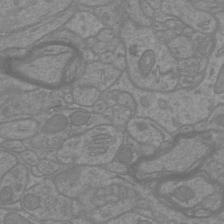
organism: Mouse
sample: Cortical neurons